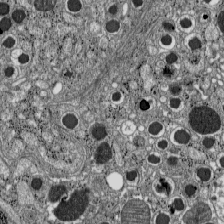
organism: C57BL Mouse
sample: Pancreatic islet